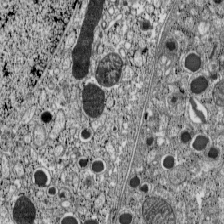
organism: C57BL Mouse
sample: Pancreatic islet